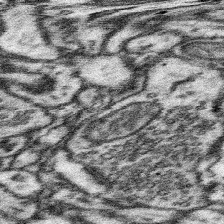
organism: Mouse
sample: Somatosensory cortex neuropil